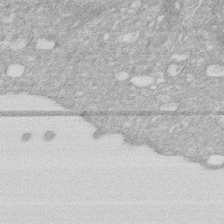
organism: Human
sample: HIV infected U937 cells